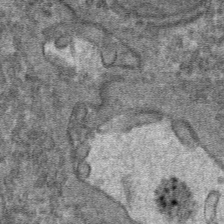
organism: Mouse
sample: Mouse hepatocytes